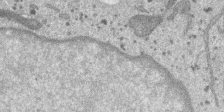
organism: Human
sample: Lung epithelial cells infected with SARS-CoV-2